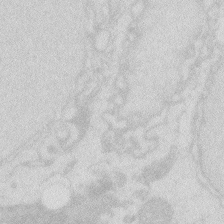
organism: Zebrafish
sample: Macrophage